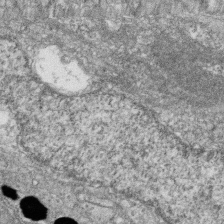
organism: Zebrafish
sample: Cilia; retinal pigment epithelium